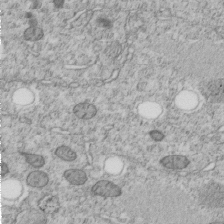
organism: C. elegans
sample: C. elegans embryo early stage